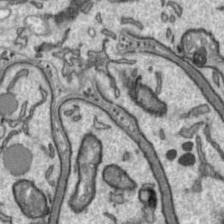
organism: Toxoplasma gondii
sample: Parasites in a vacuole inside a host cell